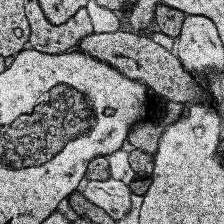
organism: Human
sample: Temporal Lobe